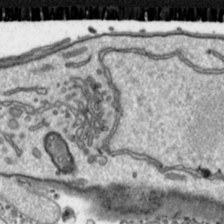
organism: Toxoplasma gondii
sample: Parasites in a vacuole inside a host cell